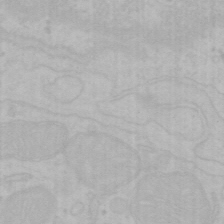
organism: Mouse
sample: Choroid plexus